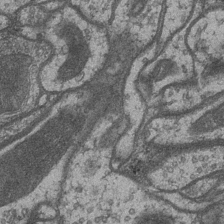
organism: Drosophila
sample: Optic medulla